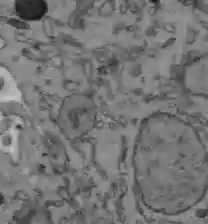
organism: C57BL Mouse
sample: Liver